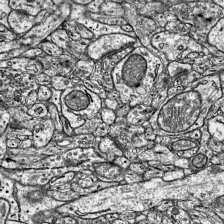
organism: Mouse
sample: Visual Cortex